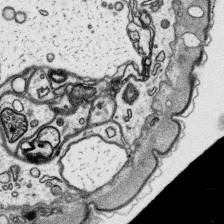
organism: Platynereis dumerilii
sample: Parapodia